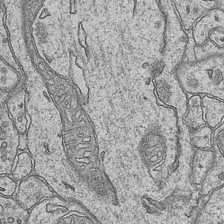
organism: Mouse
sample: CA1 Hippocampus